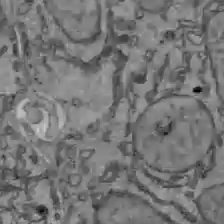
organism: C57BL Mouse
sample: Liver